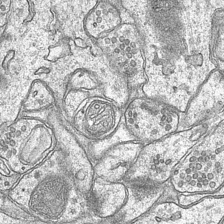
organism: Mouse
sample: CA1 Hippocampus